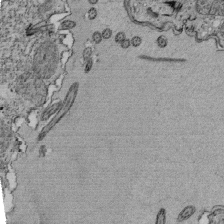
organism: Tetrahymena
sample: Cilia in tetrahymena